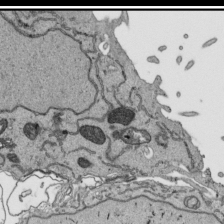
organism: Human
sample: Mitochondria in HCT116 cells